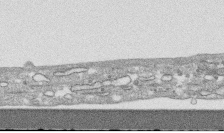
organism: Human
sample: CRL-1474